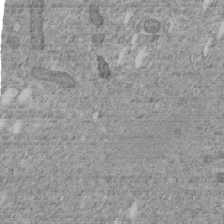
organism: C. elegans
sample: C. elegans embryo early stage